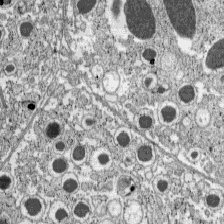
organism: C57BL Mouse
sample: Pancreatic islet